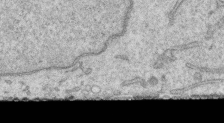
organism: Human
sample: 1205lu cells